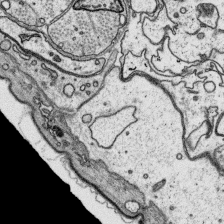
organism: Platynereis dumerilii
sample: Parapodia